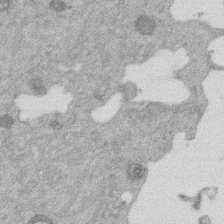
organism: Mouse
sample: Dividing mouse embryo 1 cell stage